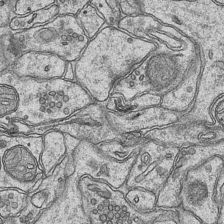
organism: Mouse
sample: CA1 Hippocampus